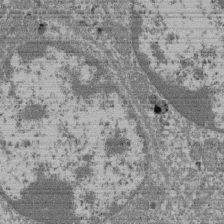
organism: Mouse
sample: Glomerulus